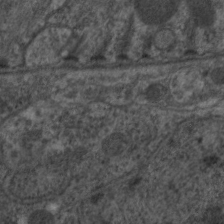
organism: C. elegans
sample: Pharynx